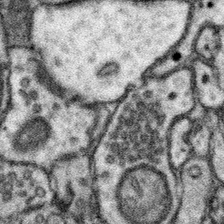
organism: Mouse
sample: Somatosensory cortex neuropil